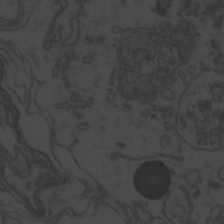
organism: Zebrafish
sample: Macrophage infected with Toxoplasma gondii